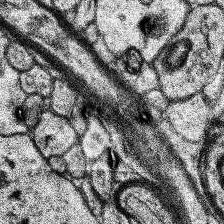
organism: Human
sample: Temporal Lobe